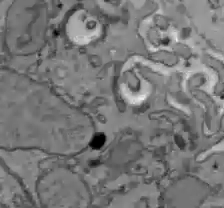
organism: C57BL Mouse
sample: Liver